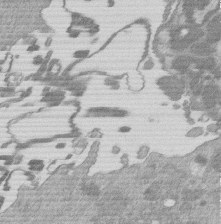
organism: Mouse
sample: Dividing mouse embryo 1 cell stage